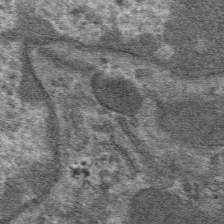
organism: Mouse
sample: Mouse hepatocytes